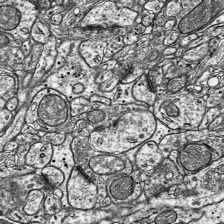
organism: Mouse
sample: Visual Cortex